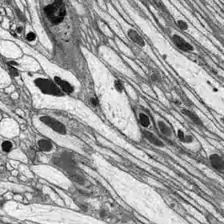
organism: Drosophila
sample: Optic lobe